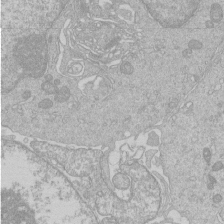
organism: Human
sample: Macrophage cells